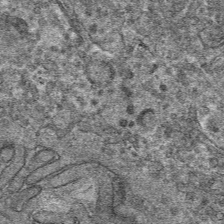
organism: Mouse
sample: Mouse hepatocytes